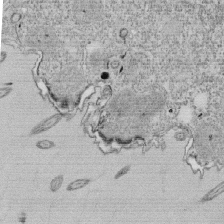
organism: Tetrahymena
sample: Cilia in tetrahymena